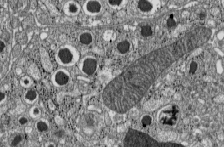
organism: C57BL Mouse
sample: Pancreatic islet